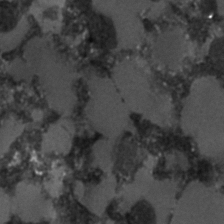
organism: C. elegans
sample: C. elegans embryo